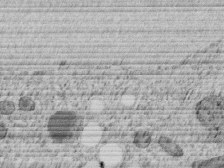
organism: C. elegans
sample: C. elegans embryo early stage